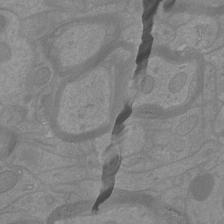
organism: Mouse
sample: Cortical neurons